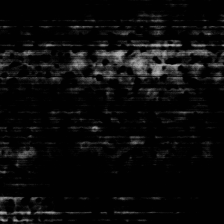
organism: Mouse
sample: Multiciliated cells